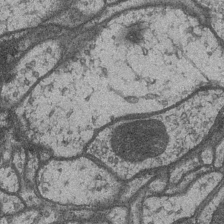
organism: Drosophila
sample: Optic medulla